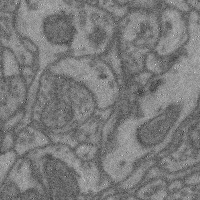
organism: Mouse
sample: Cerebral cortex